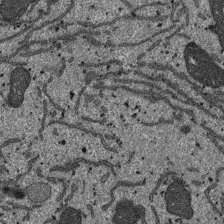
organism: Human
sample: Lung epithelial cells infected with SARS-CoV-2